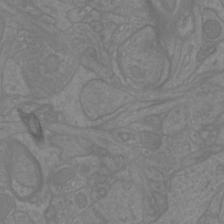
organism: Mouse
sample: Cortical neurons